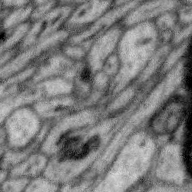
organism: Zebra finch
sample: Brain